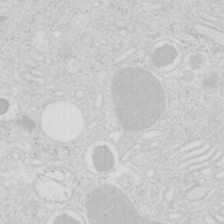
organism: Mouse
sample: Pancreas